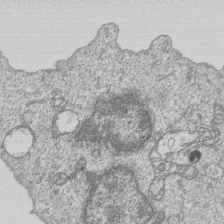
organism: Human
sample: MDA-MB-231 cells